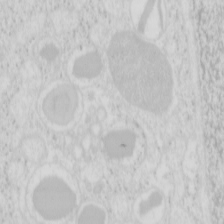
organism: Mouse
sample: Pancreas